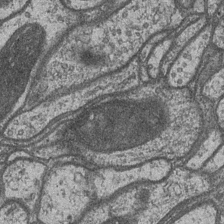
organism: Drosophila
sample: Optic medulla